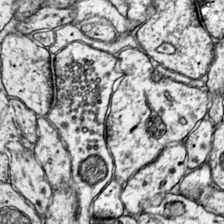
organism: Mouse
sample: Primary visual cortex